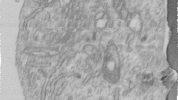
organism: Human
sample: Centriole in RPE cells